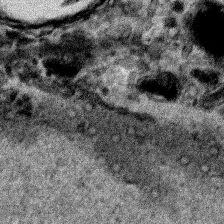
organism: Human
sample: Mitochondria in HCT116 cells